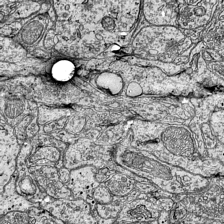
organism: Mouse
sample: Visual Cortex